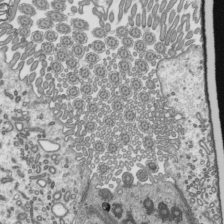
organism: Mouse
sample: Mouse epididymis efferent ductule cilia